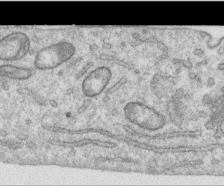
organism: Human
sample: Centriole in RPE cells